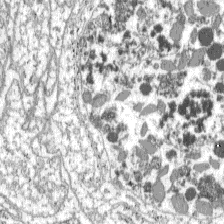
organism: C57BL Mouse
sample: Pancreatic islet